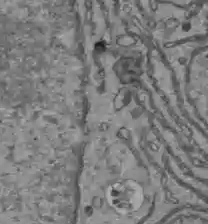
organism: C57BL Mouse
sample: Liver